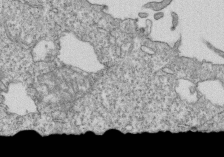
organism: Human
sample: HeLa cell HIV synapse